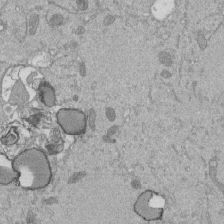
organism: Mouse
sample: ED-1 cell nuclei; centrioles